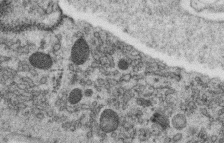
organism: C. elegans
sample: C. elegans oocyte; sperm cells